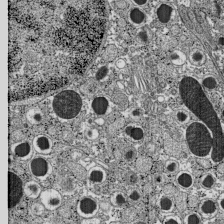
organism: C57BL Mouse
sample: Pancreatic islet